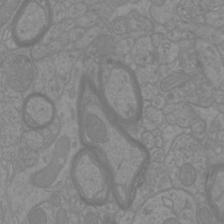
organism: Mouse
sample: Cortical neurons